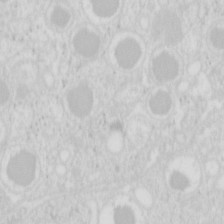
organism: Mouse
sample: Pancreas